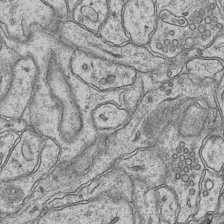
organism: Mouse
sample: CA1 Hippocampus